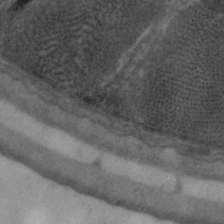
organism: C. elegans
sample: Pharynx